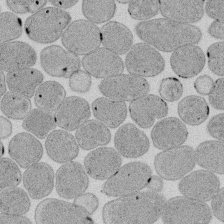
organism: E. coli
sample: Bacterial nucleoid